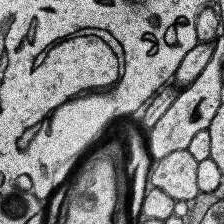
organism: Human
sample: Temporal Lobe